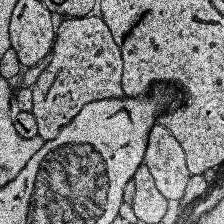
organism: Human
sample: Temporal Lobe